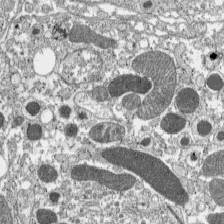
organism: C57BL Mouse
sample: Pancreatic islet